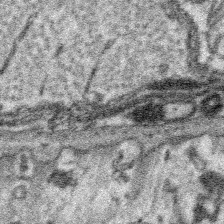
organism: Platynereis dumerilii